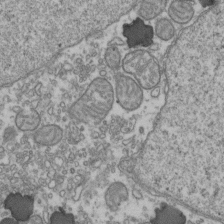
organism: Human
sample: Activated Jurkat CD4+ T cells